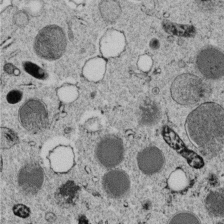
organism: C. elegans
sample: C. elegans embryo early stage